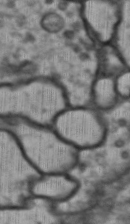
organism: Drosophila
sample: Brain